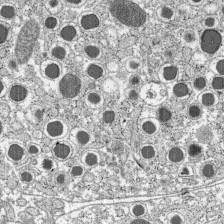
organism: C57BL Mouse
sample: Pancreatic islet